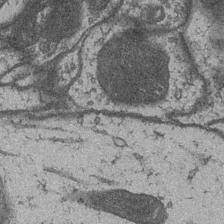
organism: Drosophila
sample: Optic medulla